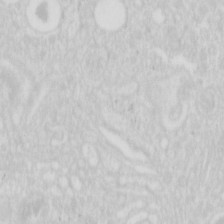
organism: Mouse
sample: Pancreas